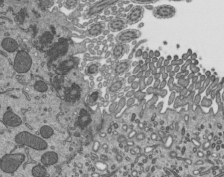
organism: Mouse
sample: Mouse epididymis efferent ductule cilia